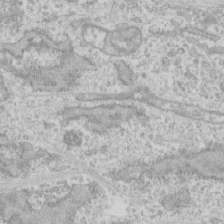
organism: Human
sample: CRL-1474